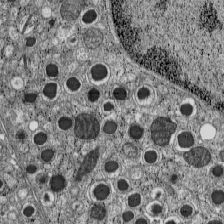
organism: C57BL Mouse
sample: Pancreatic islet